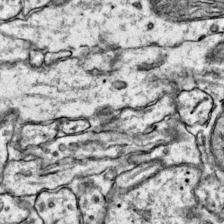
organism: Mouse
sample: Primary visual cortex